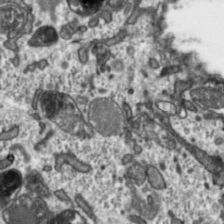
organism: Toxoplasma gondii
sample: Parasites in a vacuole inside a host cell